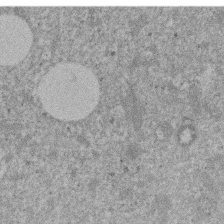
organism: Mouse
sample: Dividing mouse embryo 1 cell stage